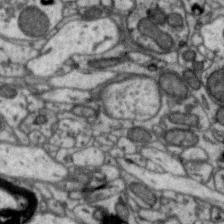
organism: Zebra finch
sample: Brain